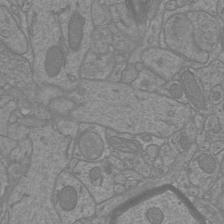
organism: Mouse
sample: Cortical neurons